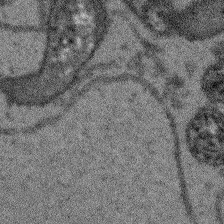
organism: Arabidopsis thaliana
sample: Root tip